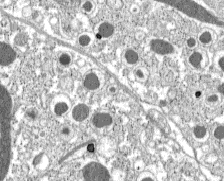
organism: C57BL Mouse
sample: Pancreatic islet